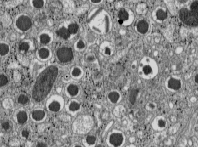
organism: C57BL Mouse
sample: Pancreatic islet